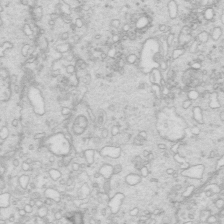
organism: Mouse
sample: Multiciliated cells